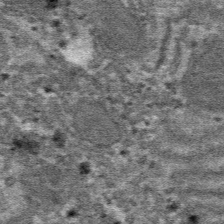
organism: Mouse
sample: Mouse hepatocytes